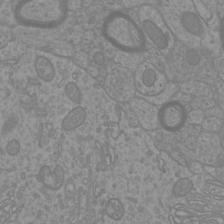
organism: Mouse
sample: Cortical neurons